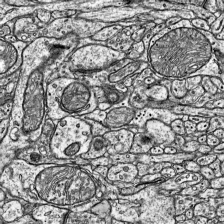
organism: Mouse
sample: Visual Cortex